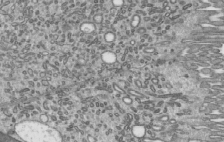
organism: Mouse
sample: Mouse epididymis efferent ductule cilia